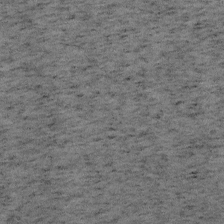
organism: Mouse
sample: OT-I killer T cells with ID8 ovarian cancer cells